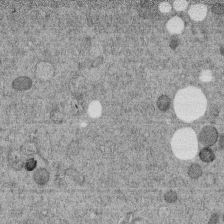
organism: C. elegans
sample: C. elegans embryo early stage